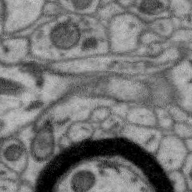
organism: Zebra finch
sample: Brain